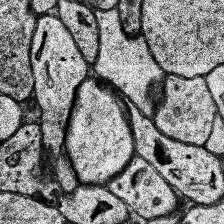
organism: Human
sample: Temporal Lobe